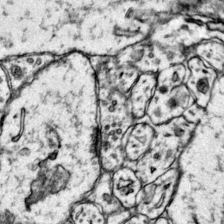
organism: Mouse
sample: Primary visual cortex